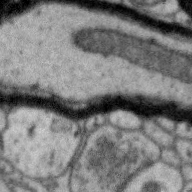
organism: Zebra finch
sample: Brain